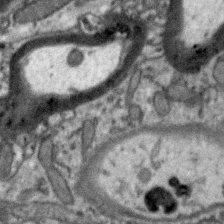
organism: Zebra finch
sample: Brain